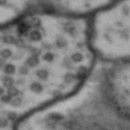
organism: Drosophila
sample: Brain